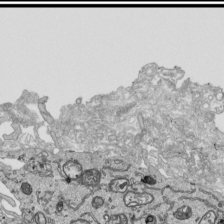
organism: Human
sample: Mitochondria in HCT116 cells